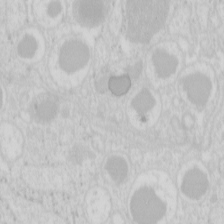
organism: Mouse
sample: Pancreas